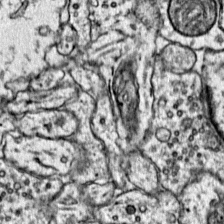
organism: Mouse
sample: Primary visual cortex